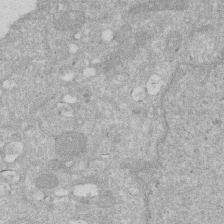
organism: Human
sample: HIV infected U937 cells